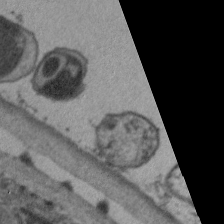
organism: C. elegans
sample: Pharynx